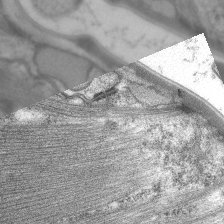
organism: C. elegans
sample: Pharynx